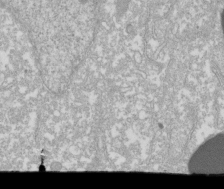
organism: Xenopus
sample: Cilia; centrioles in frog embryo cells